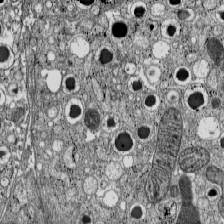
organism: C57BL Mouse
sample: Pancreatic islet